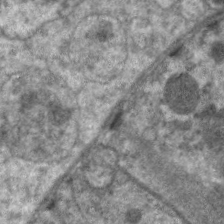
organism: C. elegans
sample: Pharynx